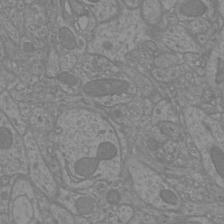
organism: Mouse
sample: Cortical neurons